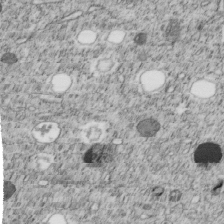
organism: C. elegans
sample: C. elegans embryo early stage